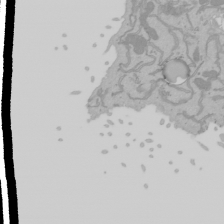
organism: Mouse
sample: Cancer cell death in ED-1 cells